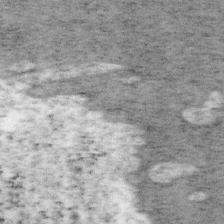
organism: Mouse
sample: OT-I killer T cells with ID8 ovarian cancer cells